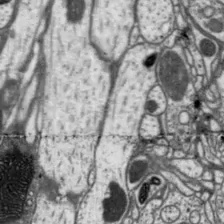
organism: Drosophila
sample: Protocerebral bridge